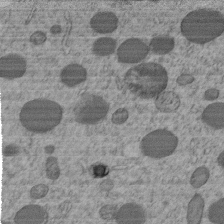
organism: C. elegans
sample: C. elegans embryo early stage